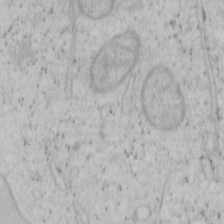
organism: Human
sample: HeLa cells